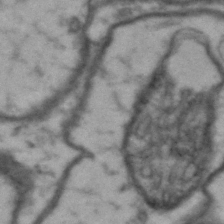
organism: Drosophila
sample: Brain